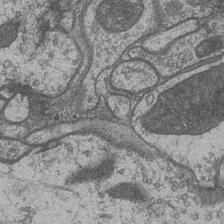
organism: Drosophila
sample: Optic medulla